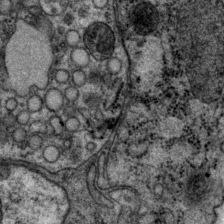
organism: P. pacificus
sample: Pharynx